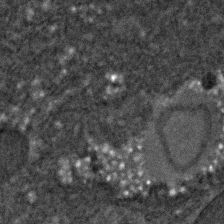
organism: C. elegans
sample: C. elegans embryo